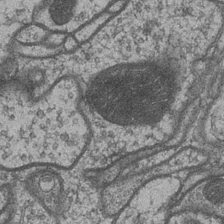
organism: Drosophila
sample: Optic medulla